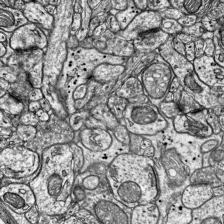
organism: Mouse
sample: Visual Cortex